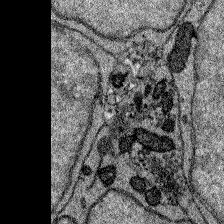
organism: Zebrafish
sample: Larval olfactory bulb